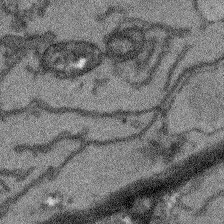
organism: Arabidopsis thaliana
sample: Root tip